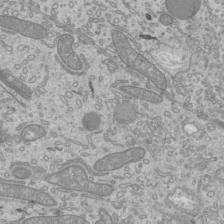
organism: Mouse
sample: Cilia; mouse epididymis